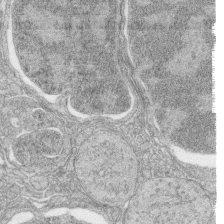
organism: Zebrafish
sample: synaptic ribbons in rod cells and cone cells